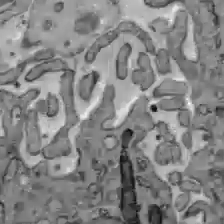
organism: C57BL Mouse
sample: Liver